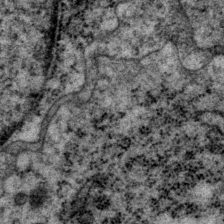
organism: P. pacificus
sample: Pharynx